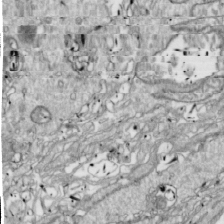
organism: Drosophila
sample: Cell division; meiosis; drosophila spermatocytes